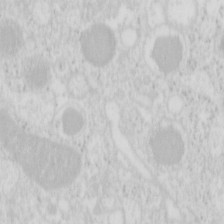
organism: Mouse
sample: Pancreas